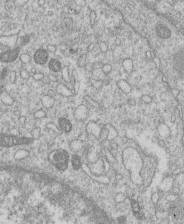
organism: Human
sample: Macrophage cells